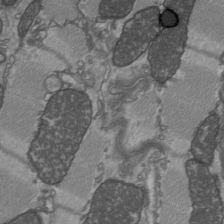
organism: C57BL Mouse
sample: Heart